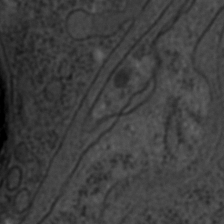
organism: C. elegans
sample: C. elegans embryo